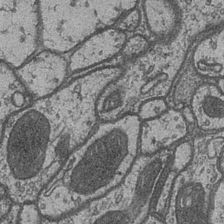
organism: Drosophila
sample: Optic medulla